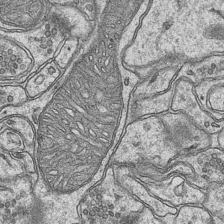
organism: Mouse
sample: CA1 Hippocampus